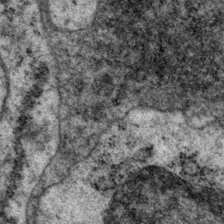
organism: P. pacificus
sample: Pharynx